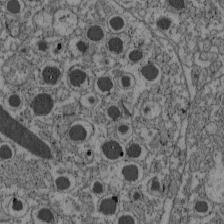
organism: C57BL Mouse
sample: Pancreatic islet